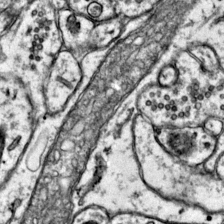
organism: Mouse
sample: Primary visual cortex